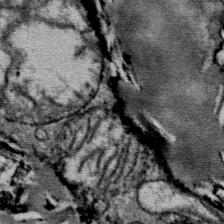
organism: Mouse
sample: Mouse Salivary gland